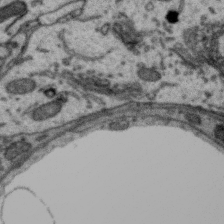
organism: Zebra finch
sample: Brain